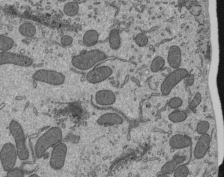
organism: Mouse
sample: Mouse epididymis efferent ductule cilia